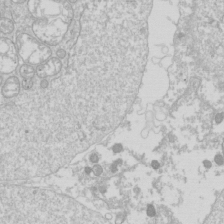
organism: Drosophila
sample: Cell division; meiosis; drosophila spermatocytes